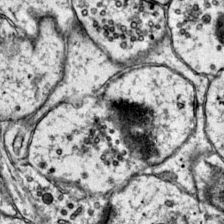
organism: Mouse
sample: Primary visual cortex